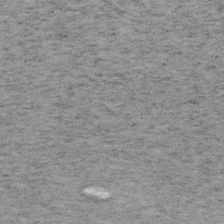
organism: Mouse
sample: OT-I killer T cells with ID8 ovarian cancer cells